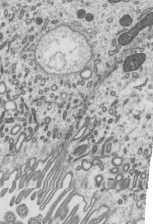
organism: Mouse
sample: Mouse epididymis efferent ductule cilia